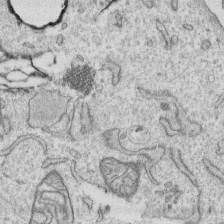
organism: Human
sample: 1205lu cells